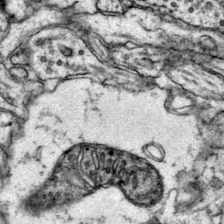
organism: Mouse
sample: Primary visual cortex